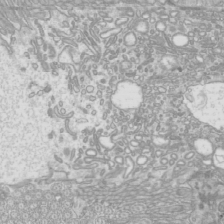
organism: Mouse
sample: Cilia; mouse epididymis